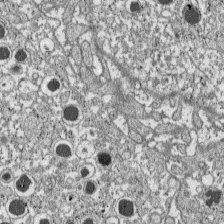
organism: C57BL Mouse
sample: Pancreatic islet